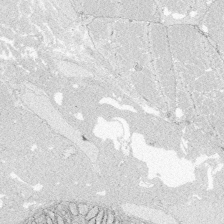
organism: Zebrafish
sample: Whole-Brain